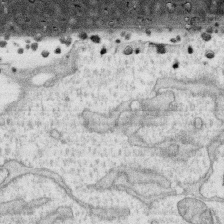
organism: Human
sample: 1205lu cells